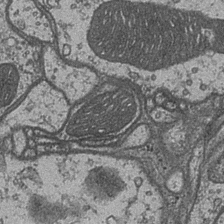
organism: Drosophila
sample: Optic medulla